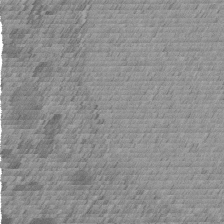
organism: C. elegans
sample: C. elegans embryo early stage